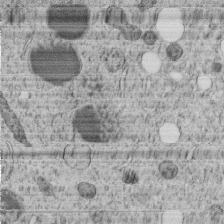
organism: C. elegans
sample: C. elegans embryo early stage